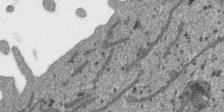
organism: Human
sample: Lung epithelial cells infected with SARS-CoV-2